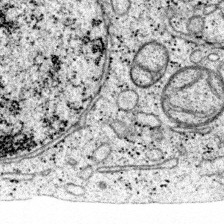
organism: Human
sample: HeLa cells